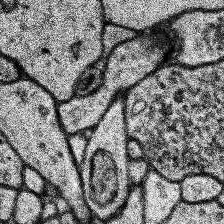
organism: Human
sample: Temporal Lobe